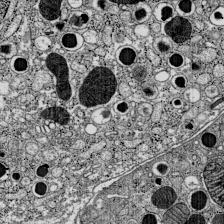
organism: C57BL Mouse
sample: Pancreatic islet